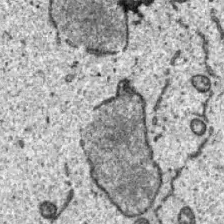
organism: Human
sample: HeLa cells